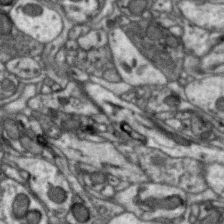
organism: Zebra finch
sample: Brain